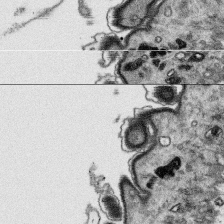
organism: Platynereis dumerilii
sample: Parapodia